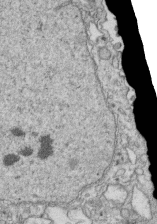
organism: Human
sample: HeLa cell HIV synapse